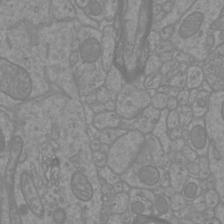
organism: Mouse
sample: Cortical neurons